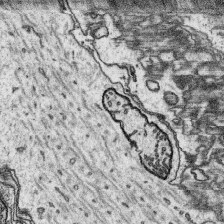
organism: Platynereis dumerilii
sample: Parapodia